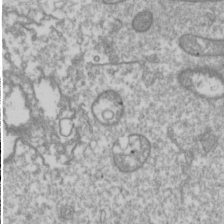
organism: Drosophila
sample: Cell division; meiosis; drosophila spermatocytes